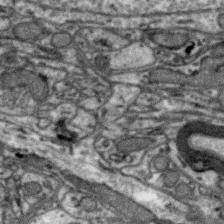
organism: Zebra finch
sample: Brain